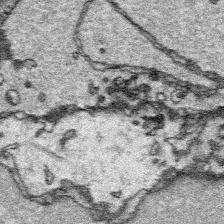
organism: Platynereis dumerilii